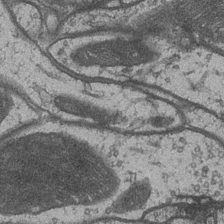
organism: Drosophila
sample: Optic medulla